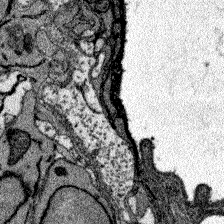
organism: Zebrafish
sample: Larval olfactory bulb